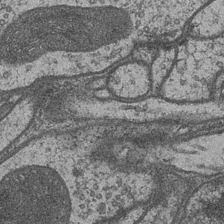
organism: Drosophila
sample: Optic medulla